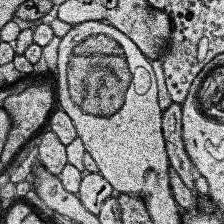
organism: Human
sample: Temporal Lobe